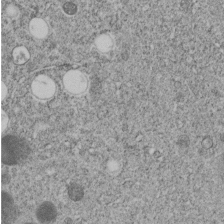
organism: C. elegans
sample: C. elegans embryo early stage